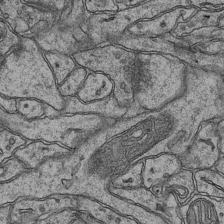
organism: Mouse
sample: CA1 Hippocampus